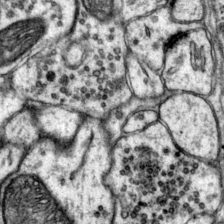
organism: Mouse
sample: Primary visual cortex